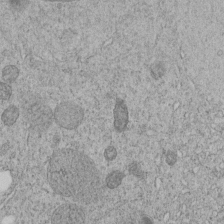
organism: C. elegans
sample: C. elegans embryo early stage